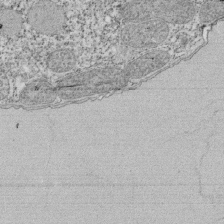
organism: Tetrahymena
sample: Cilia in tetrahymena